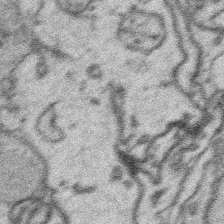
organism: Platynereis dumerilii